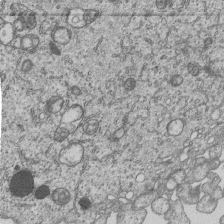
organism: Human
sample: MDA-MB-231 cells